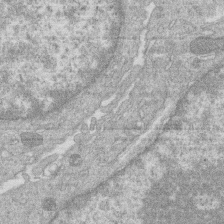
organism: Human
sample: Macrophage cells